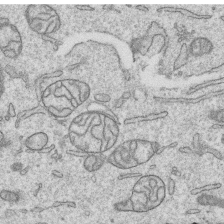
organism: Human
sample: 1205lu cells